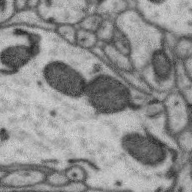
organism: Zebra finch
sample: Brain